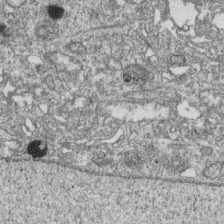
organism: Human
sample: HeLa cell HIV synapse